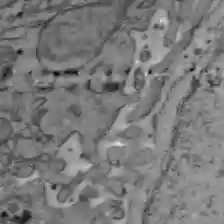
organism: C57BL Mouse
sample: Liver